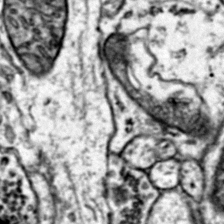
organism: Mouse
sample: Primary visual cortex